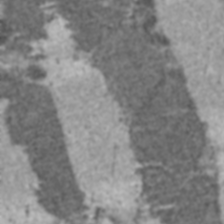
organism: C57BL Mouse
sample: Heart